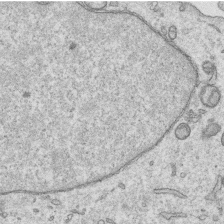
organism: Human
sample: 1205lu cells